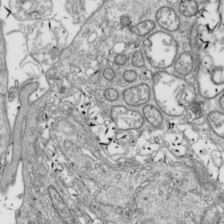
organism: Drosophila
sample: Cell division; meiosis; drosophila spermatocytes